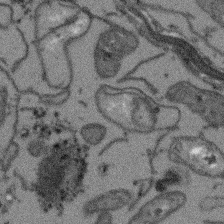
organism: Arabidopsis thaliana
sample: Root tip